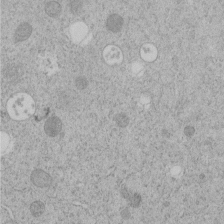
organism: C. elegans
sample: C. elegans embryo early stage